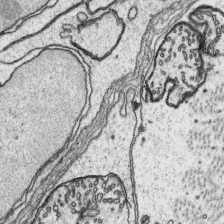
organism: Platynereis dumerilii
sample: Parapodia